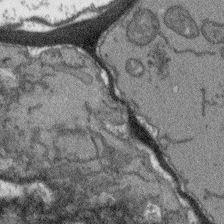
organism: Arabidopsis thaliana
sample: Root tip